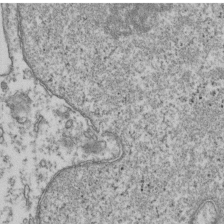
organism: Human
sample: Activated Jurkat CD4+ T cells